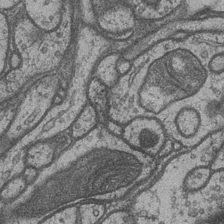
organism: Drosophila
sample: Optic medulla